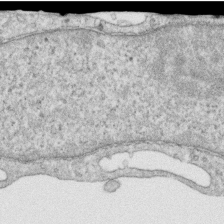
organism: Human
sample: Centriole in RPE cells